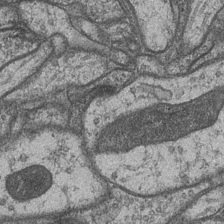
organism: Drosophila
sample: Optic medulla